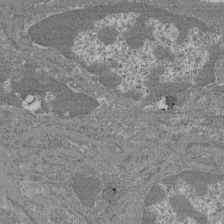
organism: Mouse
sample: Glomerulus